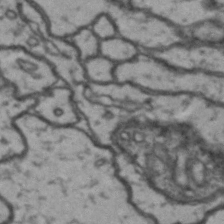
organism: Drosophila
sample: Brain